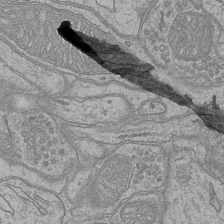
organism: Mouse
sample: CA1 Hippocampus